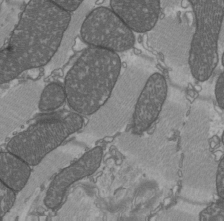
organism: C57BL Mouse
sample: Heart